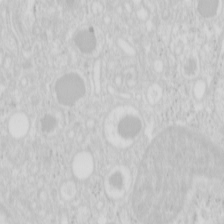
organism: Mouse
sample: Pancreas